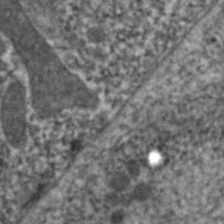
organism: C. elegans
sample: Pharynx